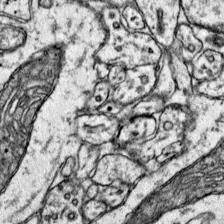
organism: Mouse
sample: Primary visual cortex